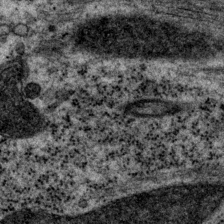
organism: P. pacificus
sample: Pharynx